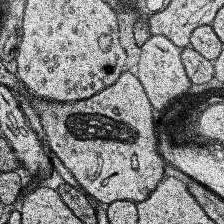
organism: Human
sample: Temporal Lobe